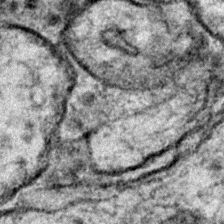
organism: Zebrafish